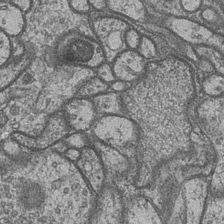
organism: Drosophila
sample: Optic medulla